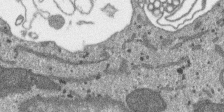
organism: Human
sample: Lung epithelial cells infected with SARS-CoV-2